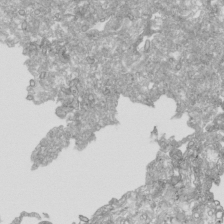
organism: Human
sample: Mitochondria in HCT116 cells